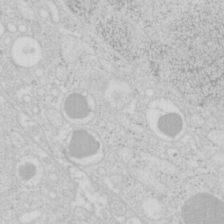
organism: Mouse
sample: Pancreas